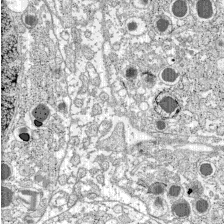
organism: C57BL Mouse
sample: Pancreatic islet